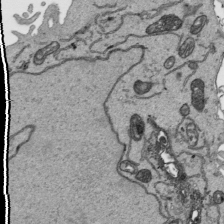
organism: Human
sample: Mitochondria in HCT116 cells